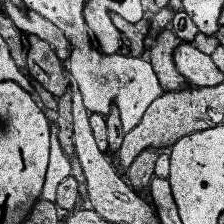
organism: Human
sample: Temporal Lobe